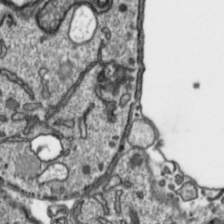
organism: Toxoplasma gondii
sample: Parasites in a vacuole inside a host cell